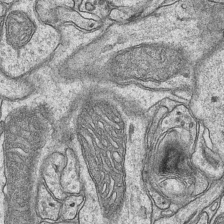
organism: Mouse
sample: CA1 Hippocampus